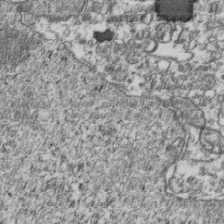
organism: Human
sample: Activated Jurkat CD4+ T cells